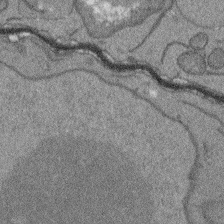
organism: Arabidopsis thaliana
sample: Root tip